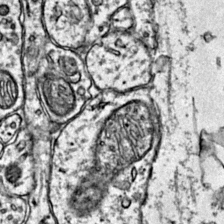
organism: Mouse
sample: Primary visual cortex